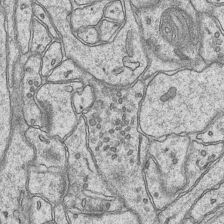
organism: Mouse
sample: CA1 Hippocampus